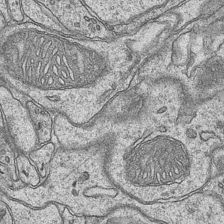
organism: Mouse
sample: CA1 Hippocampus